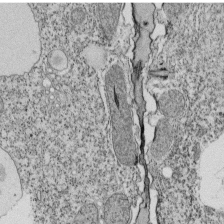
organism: Tetrahymena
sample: Cilia in tetrahymena